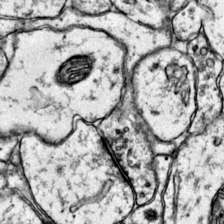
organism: Mouse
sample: Primary visual cortex